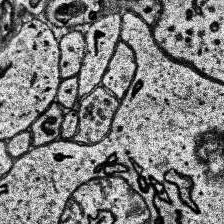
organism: Human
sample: Temporal Lobe